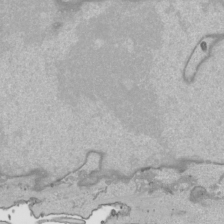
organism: Human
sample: Mitochondria in HCT116 cells